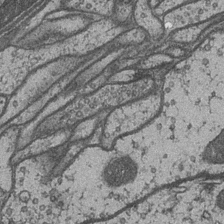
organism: Drosophila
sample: Optic medulla